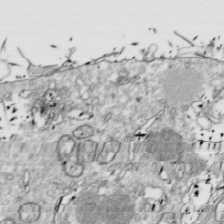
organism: Drosophila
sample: Cell division; meiosis; drosophila spermatocytes